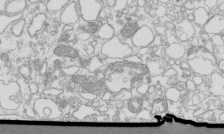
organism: Mouse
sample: Macrophages